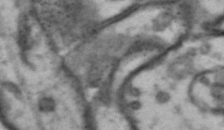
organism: Drosophila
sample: Brain